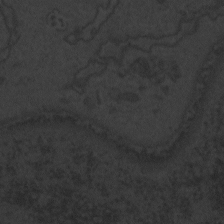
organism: Zebrafish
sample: Macrophage infected with Toxoplasma gondii